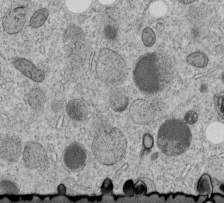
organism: C. elegans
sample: C. elegans embryo early stage